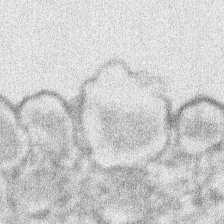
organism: Xenopus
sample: Cilia; centrioles in frog embryo cells